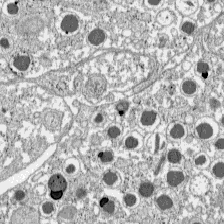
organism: C57BL Mouse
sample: Pancreatic islet